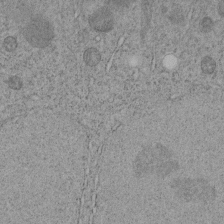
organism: C. elegans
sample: C. elegans embryo early stage